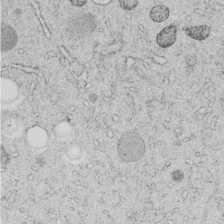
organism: C. elegans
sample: C. elegans embryo early stage